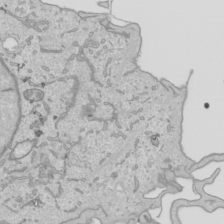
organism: Human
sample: Mitochondria in HCT116 cells